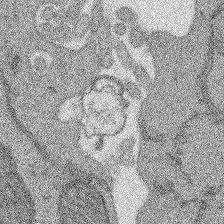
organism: Human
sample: HeLa cells